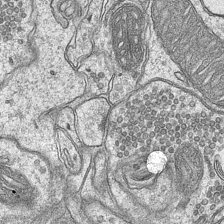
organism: Mouse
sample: CA1 Hippocampus